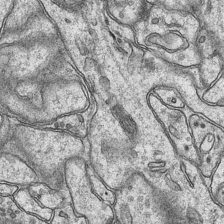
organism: Mouse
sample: CA1 Hippocampus